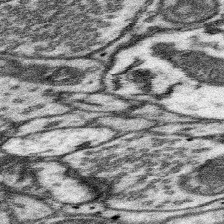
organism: Mouse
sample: Somatosensory cortex neuropil